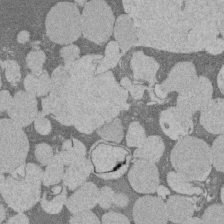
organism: Rat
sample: Salivary granule